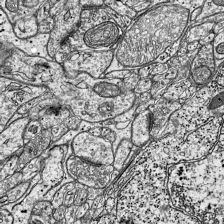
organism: Mouse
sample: Visual Cortex